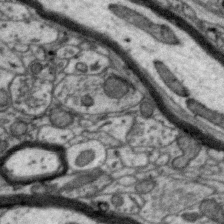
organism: Zebra finch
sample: Brain